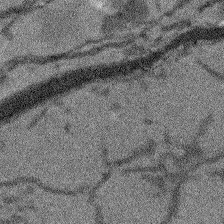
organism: Arabidopsis thaliana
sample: Root tip